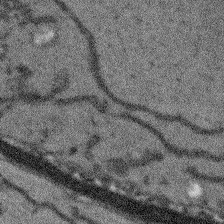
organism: Arabidopsis thaliana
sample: Root tip